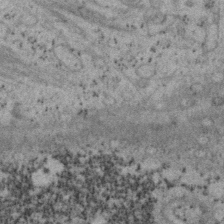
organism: Human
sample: HeLa cells